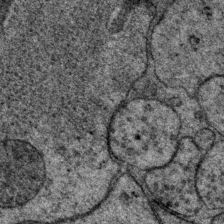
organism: P. pacificus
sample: Pharynx